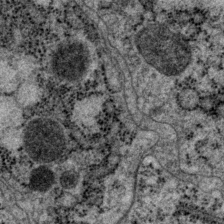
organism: P. pacificus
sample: Pharynx